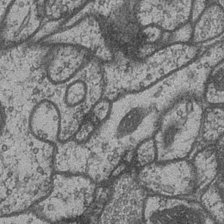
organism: Drosophila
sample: Optic medulla